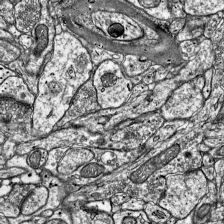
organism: Mouse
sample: Visual Cortex